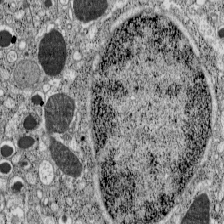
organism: C57BL Mouse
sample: Pancreatic islet